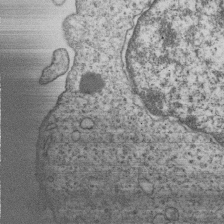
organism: Human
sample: MDA-MB-231 cells